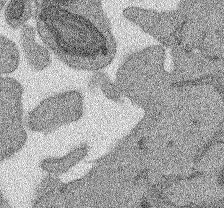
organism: Human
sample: HeLa cells